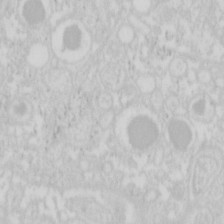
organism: Mouse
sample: Pancreas